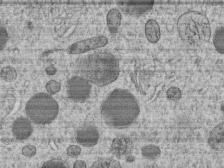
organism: C. elegans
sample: C. elegans embryo early stage